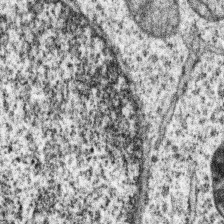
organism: Human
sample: HeLa cells